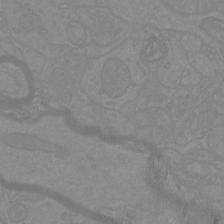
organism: Mouse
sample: Cortical neurons